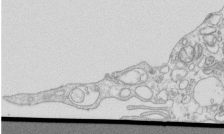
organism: Mouse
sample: Macrophages